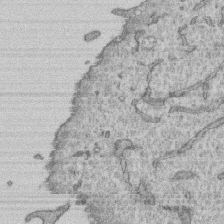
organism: Human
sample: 1205lu cells